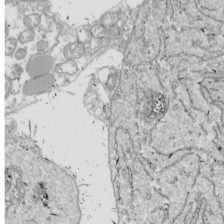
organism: Drosophila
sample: Cell division; meiosis; drosophila spermatocytes